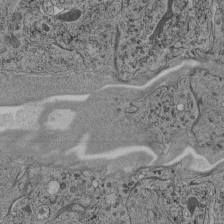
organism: C. elegans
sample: C. elegans pharynx